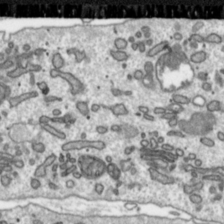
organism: Toxoplasma gondii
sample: Parasites in a vacuole inside a host cell